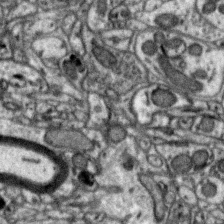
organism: Zebra finch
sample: Brain